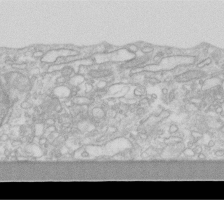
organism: Human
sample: Fibroblast cells